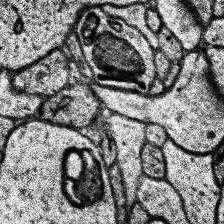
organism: Human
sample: Temporal Lobe